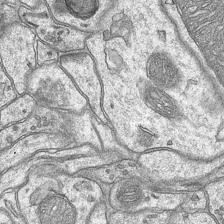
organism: Mouse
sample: CA1 Hippocampus